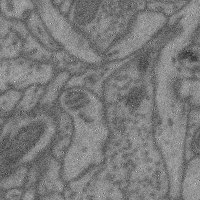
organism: Mouse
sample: Cerebral cortex